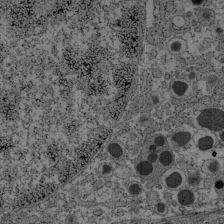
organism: C57BL Mouse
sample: Pancreatic islet